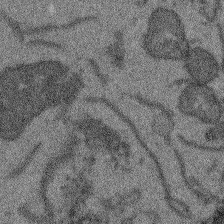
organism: Arabidopsis thaliana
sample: Root tip